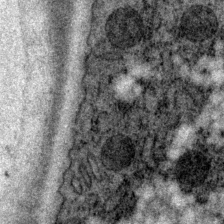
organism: P. pacificus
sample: Pharynx